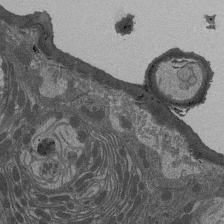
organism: Drosophila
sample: Antenna